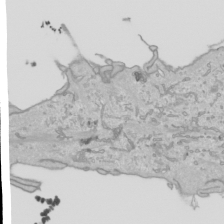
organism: Human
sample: Mitochondria in HCT116 cells